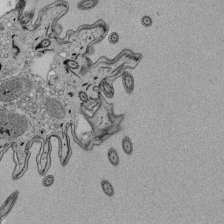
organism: Tetrahymena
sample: Cilia in tetrahymena